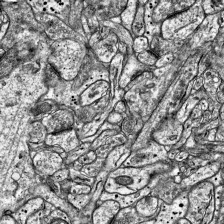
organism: Mouse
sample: Visual Cortex